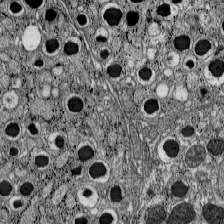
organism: C57BL Mouse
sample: Pancreatic islet